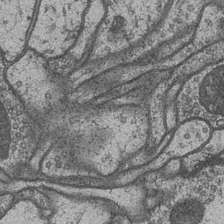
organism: Drosophila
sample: Optic medulla